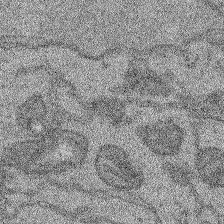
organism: Human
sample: HeLa cells